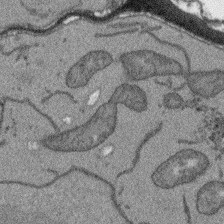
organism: Arabidopsis thaliana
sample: Root tip